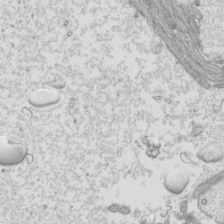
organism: Mouse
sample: Cilia; mouse epididymis